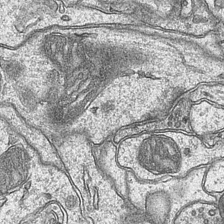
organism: Mouse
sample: CA1 Hippocampus